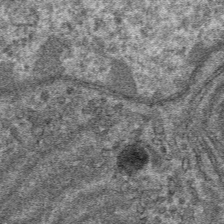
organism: Mouse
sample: Mouse hepatocytes